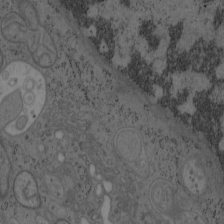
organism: Mouse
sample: OT-I killer T cells with ID8 ovarian cancer cells